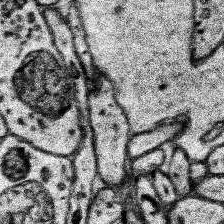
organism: Human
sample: Temporal Lobe